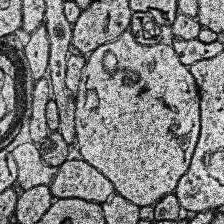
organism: Human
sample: Temporal Lobe